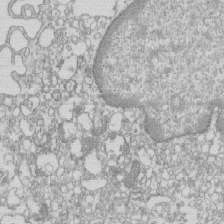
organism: Mouse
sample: Macrophages